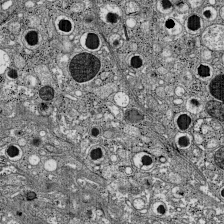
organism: C57BL Mouse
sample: Pancreatic islet